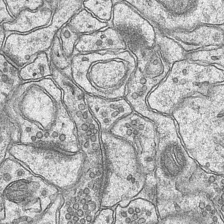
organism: Mouse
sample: CA1 Hippocampus